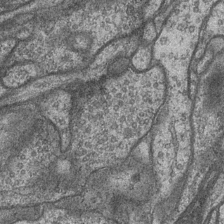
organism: Drosophila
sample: Optic medulla